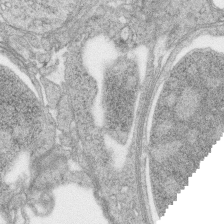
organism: Zebrafish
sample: synaptic ribbons in rod cells and cone cells